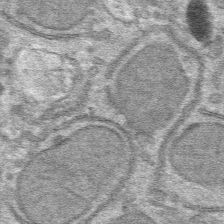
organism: Mouse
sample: Mouse hepatocytes